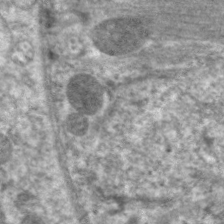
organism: C. elegans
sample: Pharynx